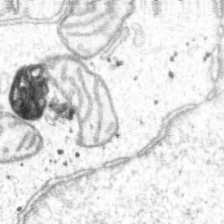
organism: Human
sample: HeLa cells